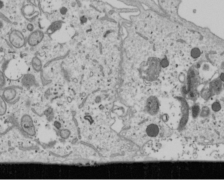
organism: Human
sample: Mitochondria in U2OS cells